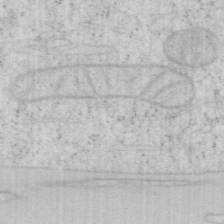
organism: Human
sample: HeLa cells